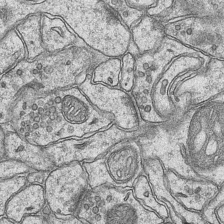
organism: Mouse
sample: CA1 Hippocampus